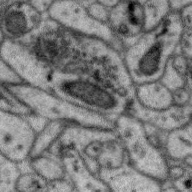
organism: Zebra finch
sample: Brain